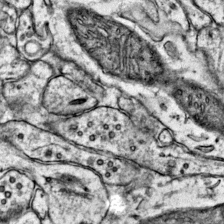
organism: Mouse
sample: Primary visual cortex